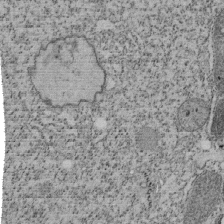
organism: Tetrahymena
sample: Cilia in tetrahymena